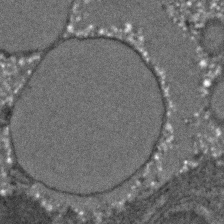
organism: C. elegans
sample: C. elegans embryo